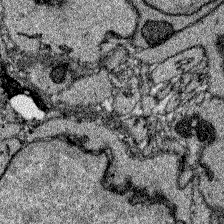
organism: Zebrafish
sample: Larval olfactory bulb